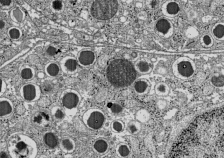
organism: C57BL Mouse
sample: Pancreatic islet